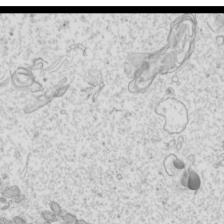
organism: Mouse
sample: Cilia; mouse epididymis